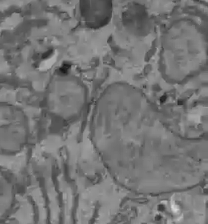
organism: C57BL Mouse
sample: Liver